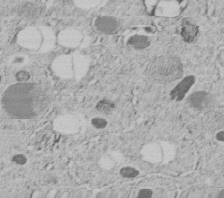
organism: C. elegans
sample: C. elegans embryo early stage